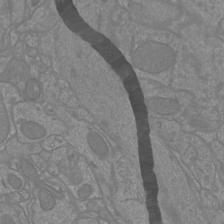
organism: Mouse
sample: Cortical neurons